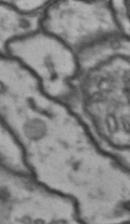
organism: Drosophila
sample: Brain